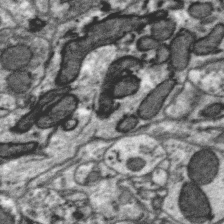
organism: Zebra finch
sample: Brain